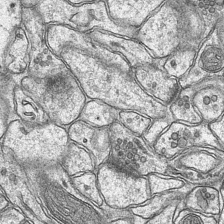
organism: Mouse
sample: CA1 Hippocampus